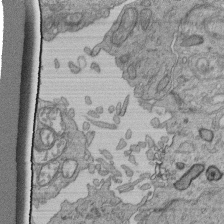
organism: Human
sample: Retinal organoid Rod and Cone cells